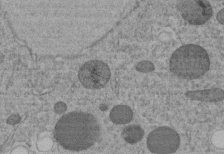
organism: C. elegans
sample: C. elegans embryo early stage